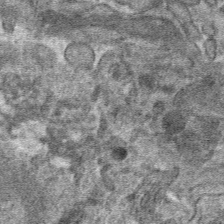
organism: Mouse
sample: Mouse hepatocytes